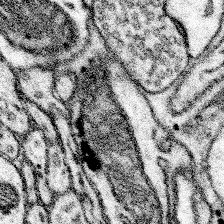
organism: Mouse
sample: Somatosensory cortex neuropil